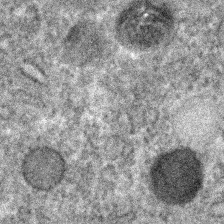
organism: C. elegans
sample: C. elegans embryo